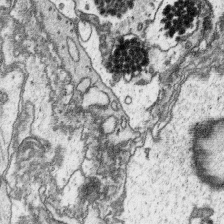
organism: Platynereis dumerilii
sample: Parapodia